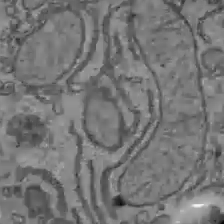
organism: C57BL Mouse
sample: Liver